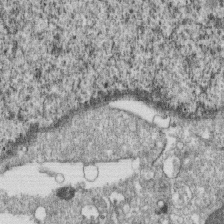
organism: African green monkey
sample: Vero E6 cells infected with SARS-CoV-2